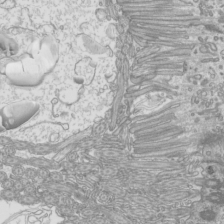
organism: Mouse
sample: Cilia; mouse epididymis